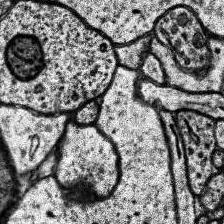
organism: Human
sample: Temporal Lobe